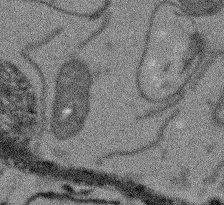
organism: Arabidopsis thaliana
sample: Root tip